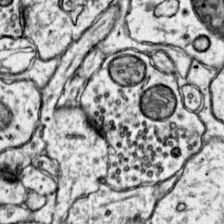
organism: Mouse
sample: Primary visual cortex